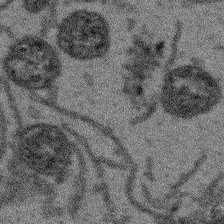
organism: Arabidopsis thaliana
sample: Root tip